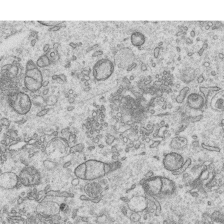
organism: Human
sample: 1205lu cells